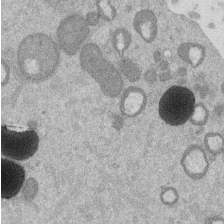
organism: Mouse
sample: Dividing mouse embryo 1 cell stage